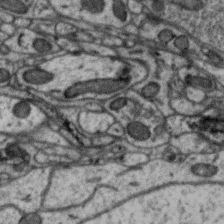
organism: Zebra finch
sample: Brain